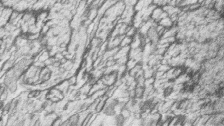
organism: Zebrafish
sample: synaptic ribbons in rod cells and cone cells